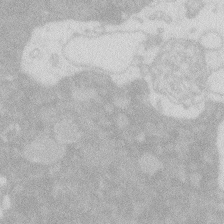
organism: Zebrafish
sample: Macrophage